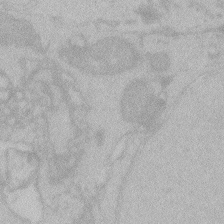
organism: Zebrafish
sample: Macrophage infected with Toxoplasma gondii